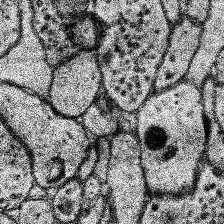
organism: Human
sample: Temporal Lobe